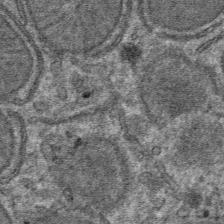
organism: Mouse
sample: Mouse hepatocytes